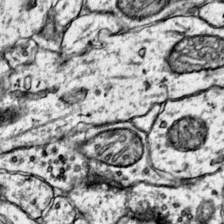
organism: Mouse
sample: Primary visual cortex